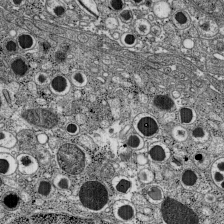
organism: C57BL Mouse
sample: Pancreatic islet